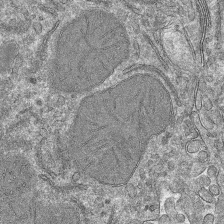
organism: Mouse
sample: Mouse hepatocytes